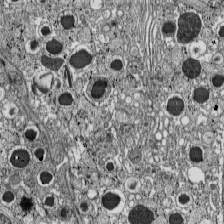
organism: C57BL Mouse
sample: Pancreatic islet